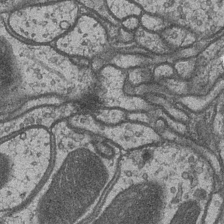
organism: Drosophila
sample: Optic medulla